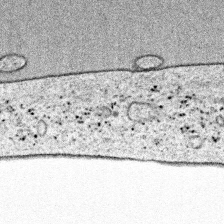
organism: Human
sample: HeLa cells